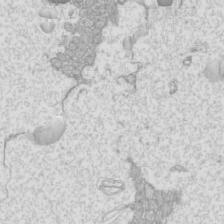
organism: Mouse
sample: Cilia; mouse epididymis